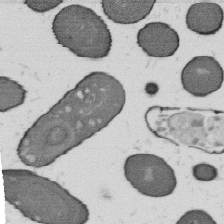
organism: B. subtilis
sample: Bacterial spore